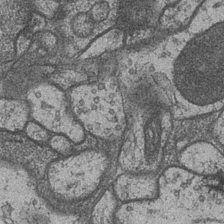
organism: Drosophila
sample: Optic medulla